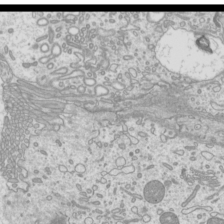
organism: Mouse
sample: Cilia; mouse epididymis